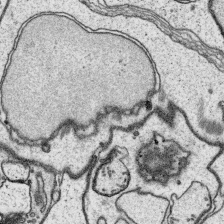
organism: Platynereis dumerilii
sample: Parapodia